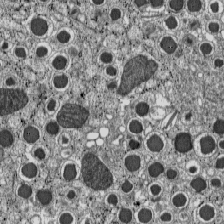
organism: C57BL Mouse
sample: Pancreatic islet